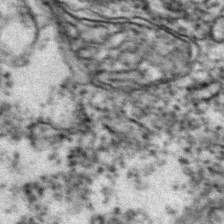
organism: Zebrafish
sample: Zebrafish embryo